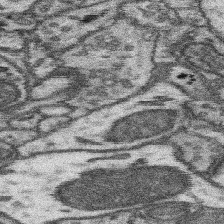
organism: Mouse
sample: Somatosensory cortex neuropil